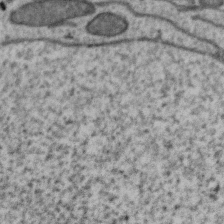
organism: Zebra finch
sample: Brain